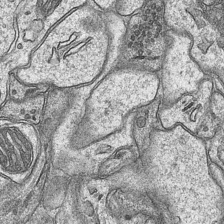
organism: Mouse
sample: CA1 Hippocampus